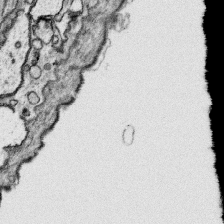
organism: Platynereis dumerilii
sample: Parapodia